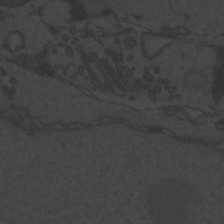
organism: Zebrafish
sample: Macrophage infected with Toxoplasma gondii